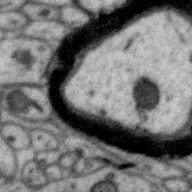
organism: Zebra finch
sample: Brain